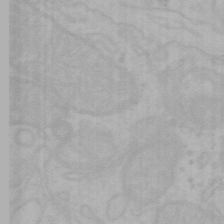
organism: Mouse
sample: Choroid plexus